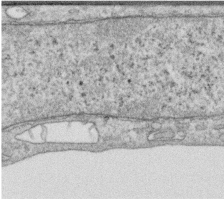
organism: Human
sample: Centriole in RPE cells